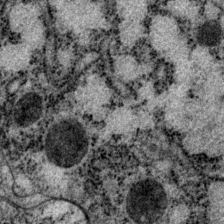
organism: P. pacificus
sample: Pharynx